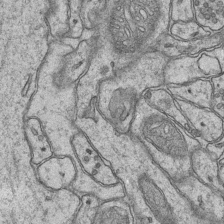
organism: Mouse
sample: CA1 Hippocampus